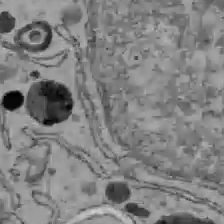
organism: C57BL Mouse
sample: Liver